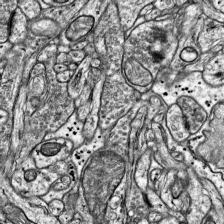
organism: Mouse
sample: Visual Cortex